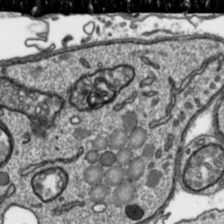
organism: Toxoplasma gondii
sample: Parasites in a vacuole inside a host cell